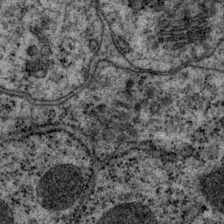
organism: P. pacificus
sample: Pharynx